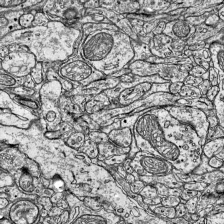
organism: Mouse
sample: Visual Cortex